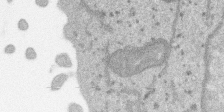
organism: Human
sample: Lung epithelial cells infected with SARS-CoV-2